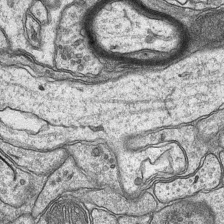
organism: Mouse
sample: CA1 Hippocampus